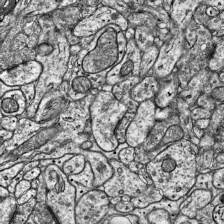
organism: Mouse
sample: Visual Cortex